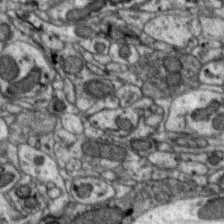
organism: Zebra finch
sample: Brain